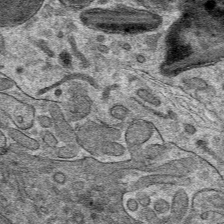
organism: Mouse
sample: Mouse hepatocytes